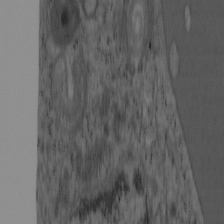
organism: Human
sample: HeLa cells